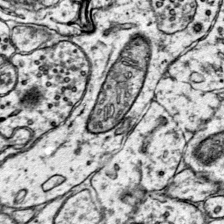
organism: Mouse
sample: Primary visual cortex